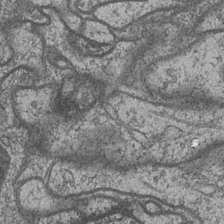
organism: Drosophila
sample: Optic medulla